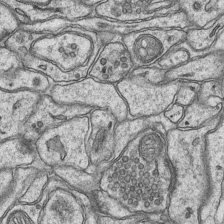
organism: Mouse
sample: CA1 Hippocampus